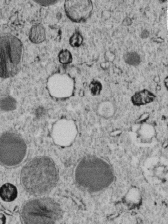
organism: C. elegans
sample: C. elegans embryo early stage